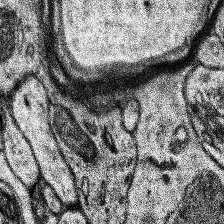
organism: Human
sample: Temporal Lobe